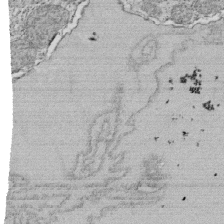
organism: Tetrahymena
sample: Cilia in tetrahymena